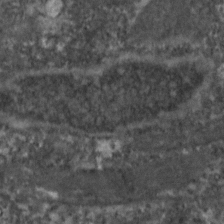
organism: Zebrafish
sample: Zebrafish embryo